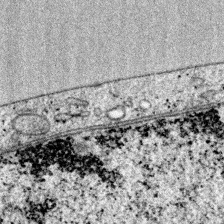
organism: Human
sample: HeLa cells